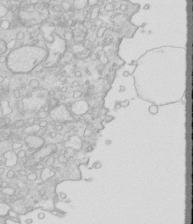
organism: Mouse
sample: Multiciliated cells